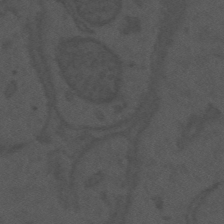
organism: Mouse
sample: Suprachiasmatic nucleus